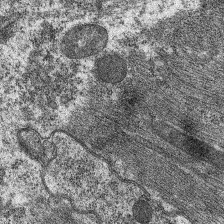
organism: C. elegans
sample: Pharynx